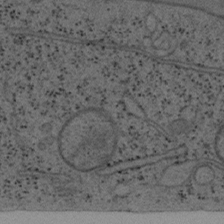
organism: Human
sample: HeLa cells